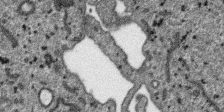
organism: Human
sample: Lung epithelial cells infected with SARS-CoV-2